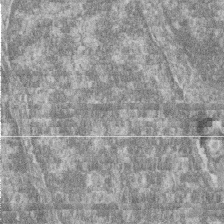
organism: Zebrafish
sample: Cilia; retinal pigment epithelium